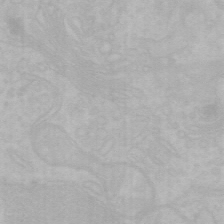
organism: Mouse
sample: Choroid plexus